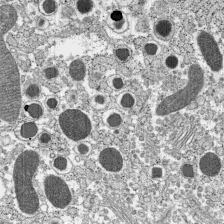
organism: C57BL Mouse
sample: Pancreatic islet